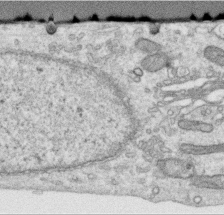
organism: Human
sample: Centriole in RPE cells